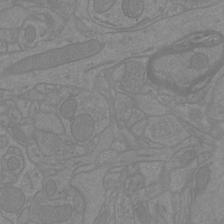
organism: Mouse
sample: Cortical neurons